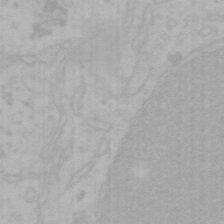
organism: Mouse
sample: Choroid plexus